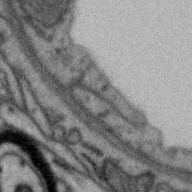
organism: Zebra finch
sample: Brain